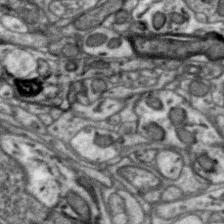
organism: Zebra finch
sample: Brain